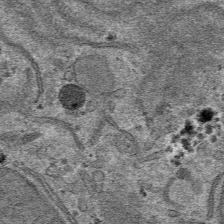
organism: Mouse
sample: Mouse hepatocytes